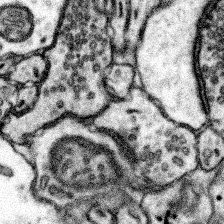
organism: Mouse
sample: Somatosensory cortex neuropil